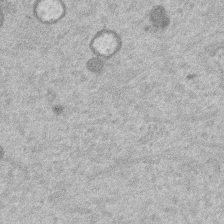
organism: Mouse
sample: Dividing mouse embryo 1 cell stage